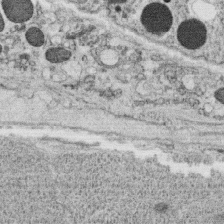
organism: C. elegans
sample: C. elegans oocyte; sperm cells